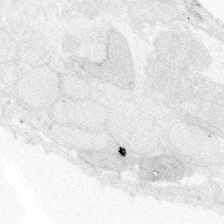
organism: Zebrafish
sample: Whole-Brain